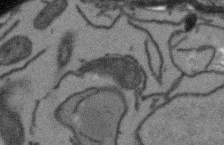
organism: Arabidopsis thaliana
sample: Root tip